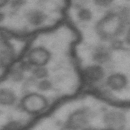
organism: Drosophila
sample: Brain